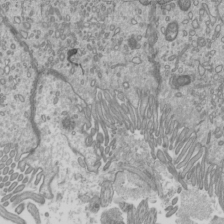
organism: Mouse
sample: Cilia; mouse epididymis